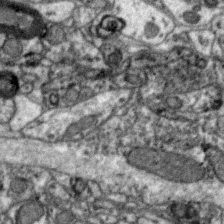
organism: Zebra finch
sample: Brain